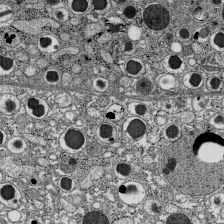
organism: C57BL Mouse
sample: Pancreatic islet